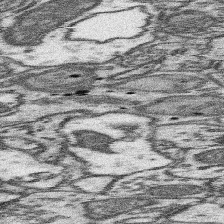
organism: Mouse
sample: Somatosensory cortex neuropil